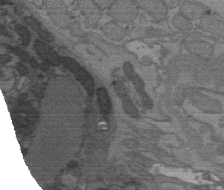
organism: C. elegans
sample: AFD neurons C. elegans